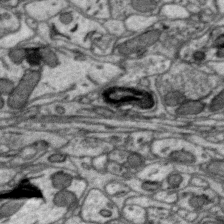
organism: Zebra finch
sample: Brain